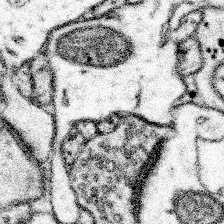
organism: Mouse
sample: Somatosensory cortex neuropil